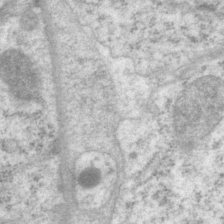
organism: P. pacificus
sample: Pharynx